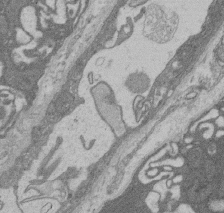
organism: Rat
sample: Salivary granule